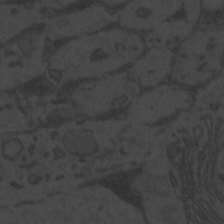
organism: Zebrafish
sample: Macrophage infected with Toxoplasma gondii